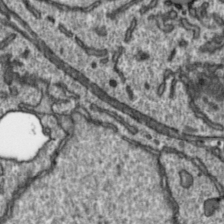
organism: Toxoplasma gondii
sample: Parasites in a vacuole inside a host cell